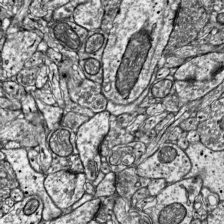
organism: Mouse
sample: Visual Cortex